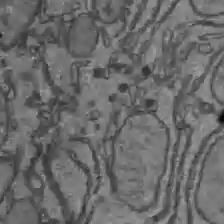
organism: C57BL Mouse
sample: Liver